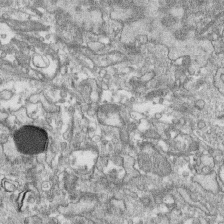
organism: Human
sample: CRL-1474